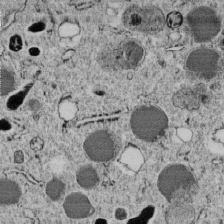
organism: C. elegans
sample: C. elegans embryo early stage